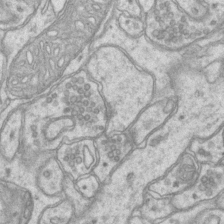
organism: Mouse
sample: CA1 Hippocampus